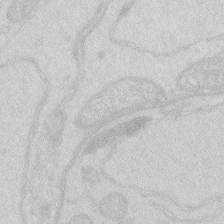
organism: Zebrafish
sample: Macrophage